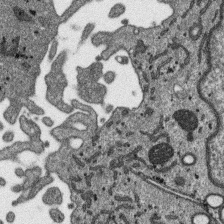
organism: Human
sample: Lung epithelial cells infected with SARS-CoV-2